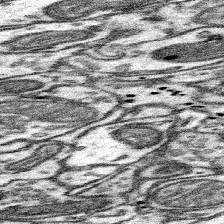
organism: Mouse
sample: Somatosensory cortex neuropil